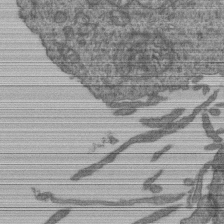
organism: Human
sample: Retinal organoid Rod and Cone cells